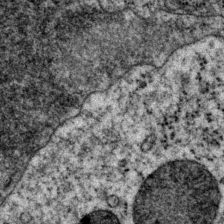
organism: P. pacificus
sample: Pharynx